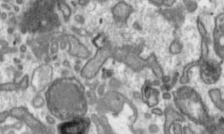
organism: Toxoplasma gondii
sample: Parasites in a vacuole inside a host cell